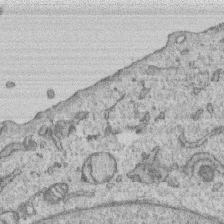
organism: Human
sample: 1205lu cells